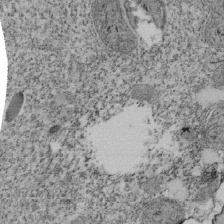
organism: Tetrahymena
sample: Cilia in tetrahymena